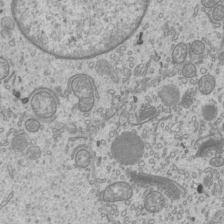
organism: Mouse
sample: Cilia; mouse epididymis